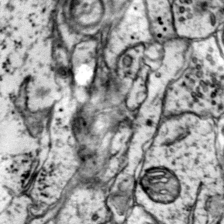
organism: Mouse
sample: Primary visual cortex